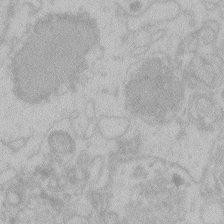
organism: Zebrafish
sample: Macrophage infected with Toxoplasma gondii